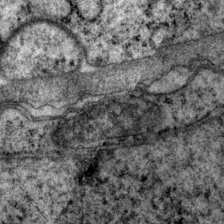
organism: P. pacificus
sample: Pharynx